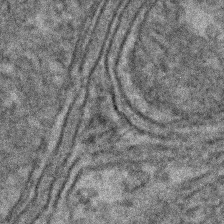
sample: Kidney